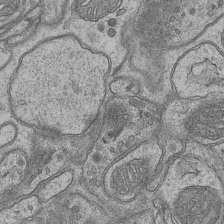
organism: Mouse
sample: CA1 Hippocampus